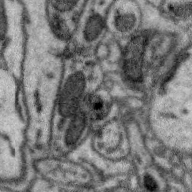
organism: Zebra finch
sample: Brain